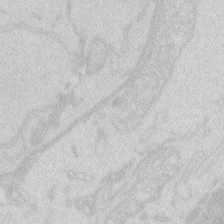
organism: Zebrafish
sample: Macrophage